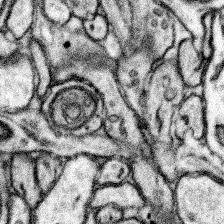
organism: Mouse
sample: Somatosensory cortex neuropil